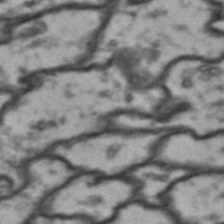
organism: Drosophila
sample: Brain